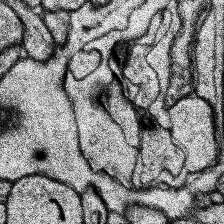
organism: Human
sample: Temporal Lobe